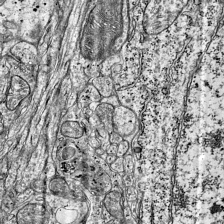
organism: Mouse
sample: Visual Cortex